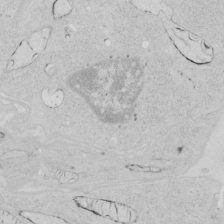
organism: Human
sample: Mitochondria in HCT116 cells